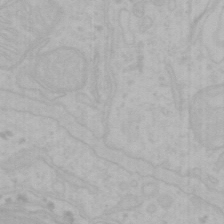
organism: Mouse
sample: Choroid plexus